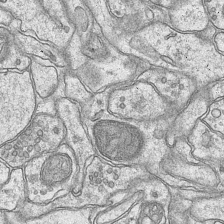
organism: Mouse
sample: CA1 Hippocampus